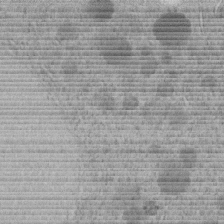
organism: C. elegans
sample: C. elegans embryo early stage